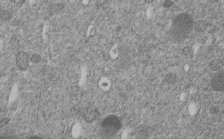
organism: C. elegans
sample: C. elegans embryo early stage